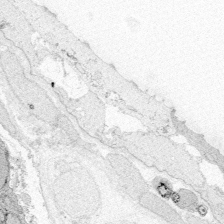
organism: Zebrafish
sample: Whole-Brain